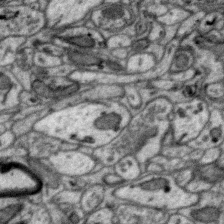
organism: Zebra finch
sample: Brain